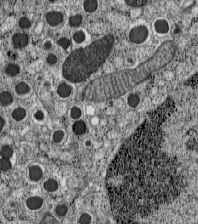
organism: C57BL Mouse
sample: Pancreatic islet